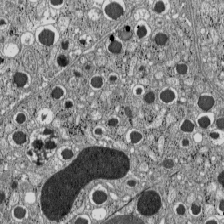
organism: C57BL Mouse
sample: Pancreatic islet